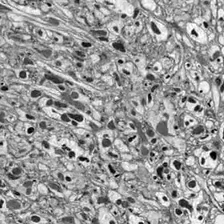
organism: Drosophila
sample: Optic lobe